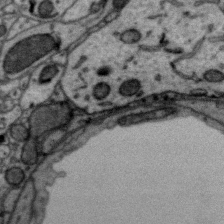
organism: Zebra finch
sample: Brain